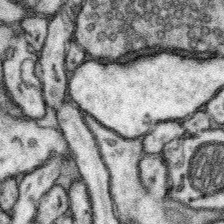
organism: Mouse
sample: Somatosensory cortex neuropil